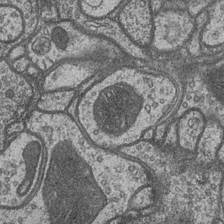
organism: Drosophila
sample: Optic medulla